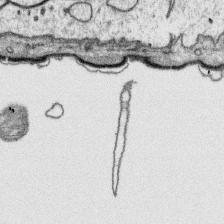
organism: Platynereis dumerilii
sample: Parapodia